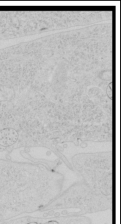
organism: Human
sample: Mitochondria in HCT116 cells